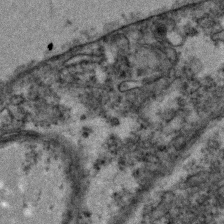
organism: Zebrafish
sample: Zebrafish embryo